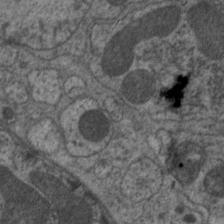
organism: C. elegans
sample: Pharynx